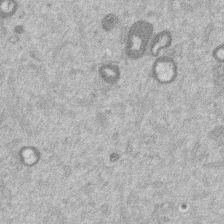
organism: Mouse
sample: Dividing mouse embryo 1 cell stage